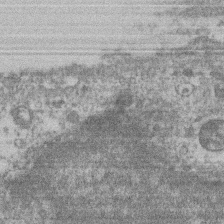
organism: Mouse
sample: T cell stromal cell synapse